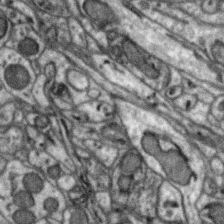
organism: Zebra finch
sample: Brain